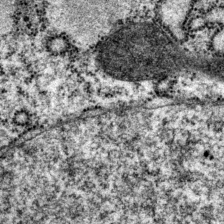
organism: P. pacificus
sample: Pharynx